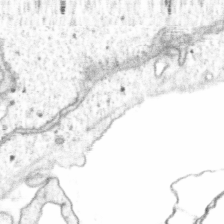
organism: Human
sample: HeLa cells